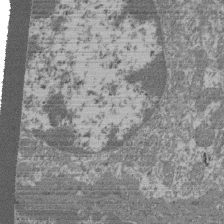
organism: Mouse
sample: Glomerulus